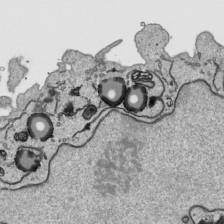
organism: Human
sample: Mitochondria in HCT116 cells